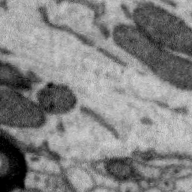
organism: Zebra finch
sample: Brain